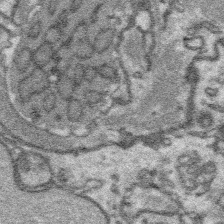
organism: Platynereis dumerilii